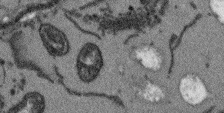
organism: Arabidopsis thaliana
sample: Root tip